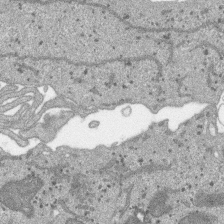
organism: Human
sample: Lung epithelial cells infected with SARS-CoV-2